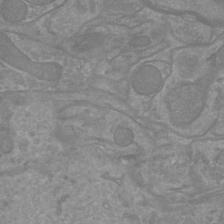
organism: Mouse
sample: Cortical neurons